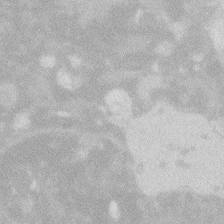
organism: Zebrafish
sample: Macrophage